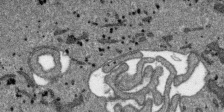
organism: Human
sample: Lung epithelial cells, uninfected (mock) control